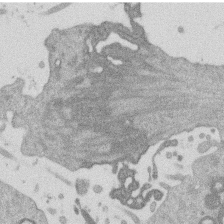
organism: Mouse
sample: Dividing mouse embryo 1 cell stage